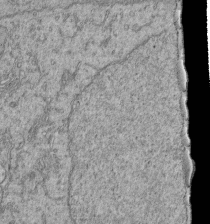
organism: Human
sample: Retinal organoid Rod and Cone cells